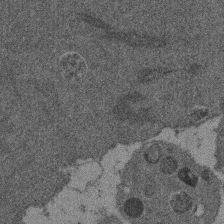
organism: Mouse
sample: Dividing mouse embryo 1 cell stage